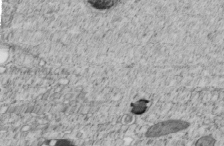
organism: C. elegans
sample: C. elegans embryo early stage